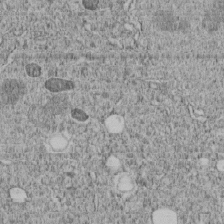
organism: C. elegans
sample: C. elegans embryo early stage